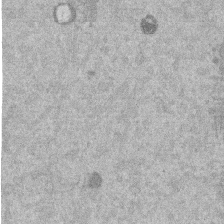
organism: Mouse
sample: Dividing mouse embryo 1 cell stage